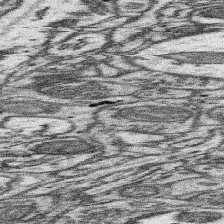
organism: Mouse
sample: Somatosensory cortex neuropil